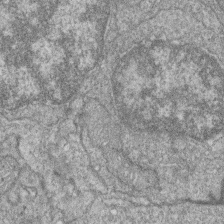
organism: Zebrafish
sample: Cilia; retinal pigment epithelium